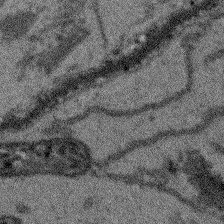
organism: Arabidopsis thaliana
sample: Root tip